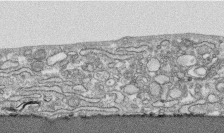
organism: Human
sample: CRL-1474